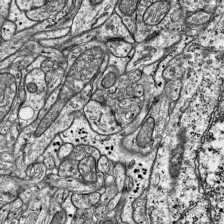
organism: Mouse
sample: Visual Cortex